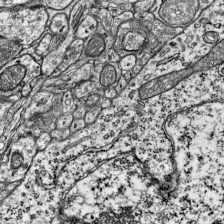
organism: Mouse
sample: Visual Cortex